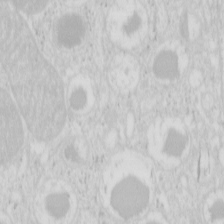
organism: Mouse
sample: Pancreas